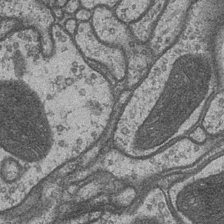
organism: Drosophila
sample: Optic medulla